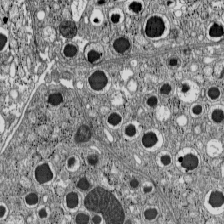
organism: C57BL Mouse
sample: Pancreatic islet